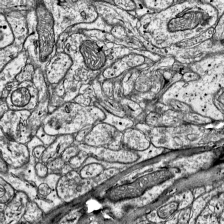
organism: Mouse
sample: Visual Cortex